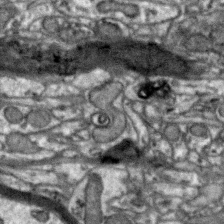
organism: Zebra finch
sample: Brain